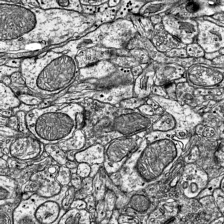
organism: Mouse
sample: Visual Cortex